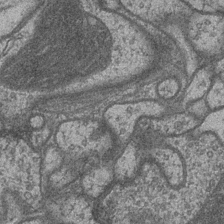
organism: Drosophila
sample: Optic medulla